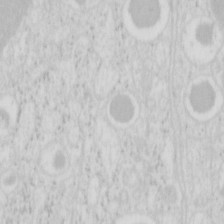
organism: Mouse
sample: Pancreas